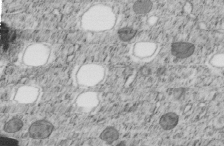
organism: C. elegans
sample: C. elegans embryo early stage